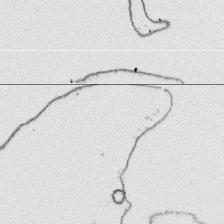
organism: Platynereis dumerilii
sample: Parapodia